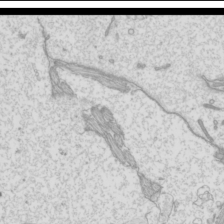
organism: Mouse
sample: Cilia; mouse epididymis